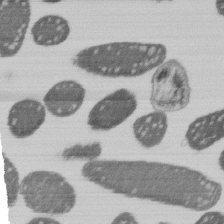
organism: E. coli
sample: Bacterial nucleoid